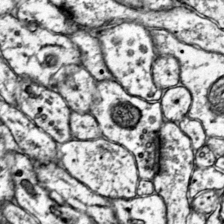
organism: Mouse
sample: Primary visual cortex